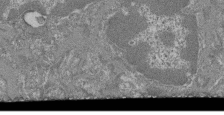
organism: Mouse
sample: Glomerulus